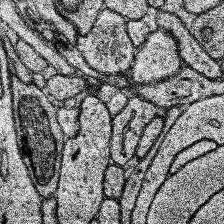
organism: Human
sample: Temporal Lobe